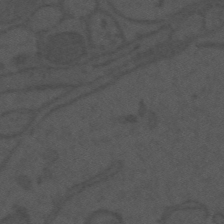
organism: Mouse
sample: Suprachiasmatic nucleus